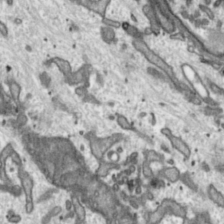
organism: Toxoplasma gondii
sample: Parasites in a vacuole inside a host cell